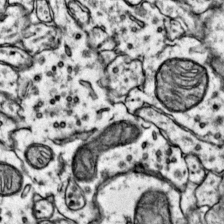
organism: Mouse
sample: Primary visual cortex